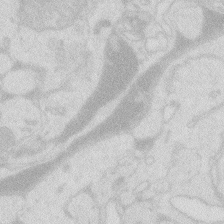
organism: Zebrafish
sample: Macrophage